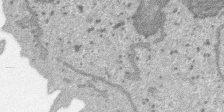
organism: Human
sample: Lung epithelial cells infected with SARS-CoV-2